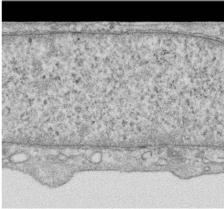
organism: Human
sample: Centriole in RPE cells